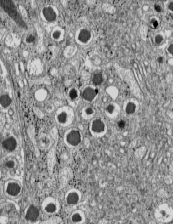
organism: C57BL Mouse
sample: Pancreatic islet